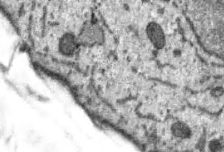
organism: Human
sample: HeLa cells